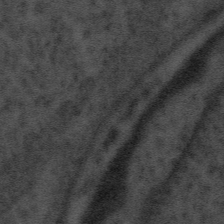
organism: Tuwongella immobilis